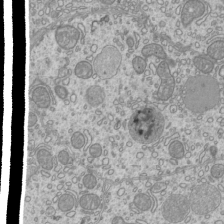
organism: Mouse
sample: Cilia; mouse epididymis